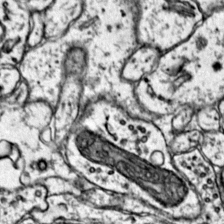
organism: Mouse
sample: Primary visual cortex